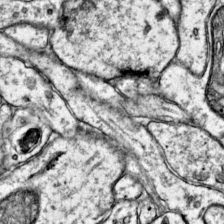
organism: Mouse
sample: Primary visual cortex